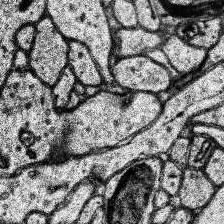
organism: Human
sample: Temporal Lobe